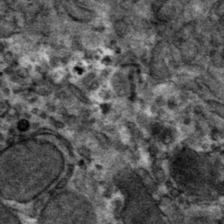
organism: Mouse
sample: Mouse hepatocytes